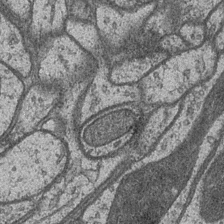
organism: Drosophila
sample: Optic medulla